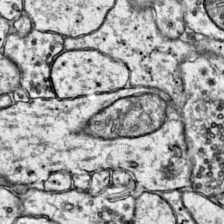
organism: Mouse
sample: Primary visual cortex